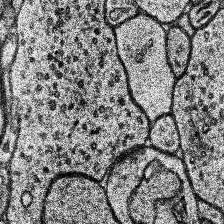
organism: Human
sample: Temporal Lobe